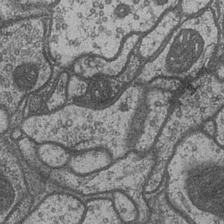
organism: Drosophila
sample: Optic medulla